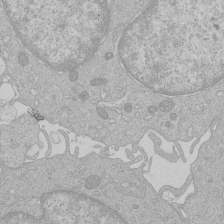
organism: Human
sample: Macrophage cells